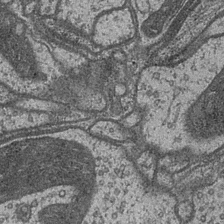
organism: Drosophila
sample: Optic medulla